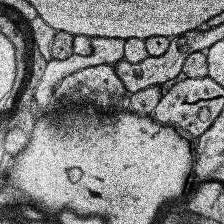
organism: Human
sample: Temporal Lobe